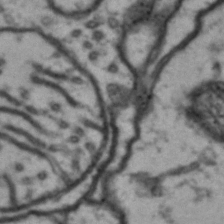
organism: Drosophila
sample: Brain